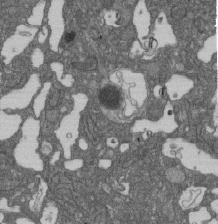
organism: Drosophila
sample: Nephrocyte